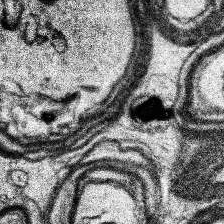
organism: Human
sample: Temporal Lobe